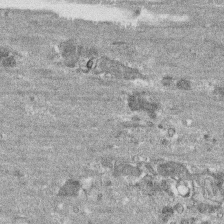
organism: Human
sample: CRL-1474